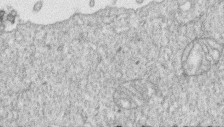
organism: Human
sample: HeLa cell HIV synapse